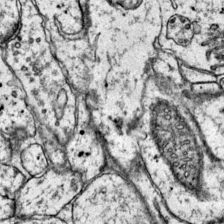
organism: Mouse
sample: Primary visual cortex